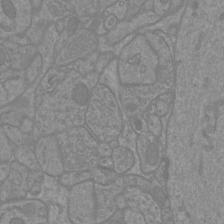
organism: Mouse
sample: Cortical neurons